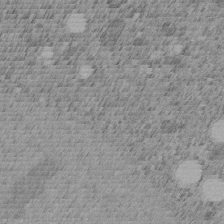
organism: C. elegans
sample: C. elegans embryo early stage